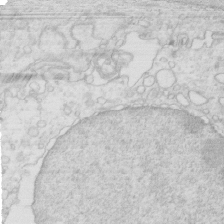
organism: Mouse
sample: Multiciliated cells